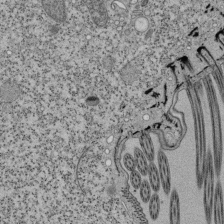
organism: Tetrahymena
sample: Cilia in tetrahymena